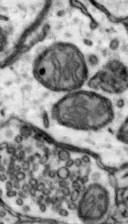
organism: Mouse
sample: Nucleus accumbens